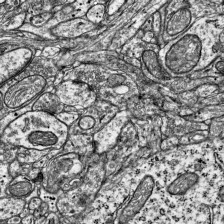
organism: Mouse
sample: Visual Cortex